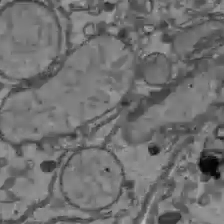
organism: C57BL Mouse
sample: Liver